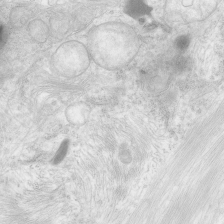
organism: Human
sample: Neocortex